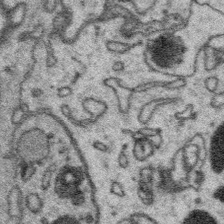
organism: Platynereis dumerilii